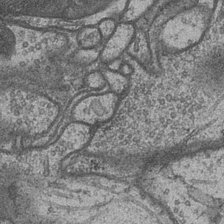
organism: Drosophila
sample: Optic medulla